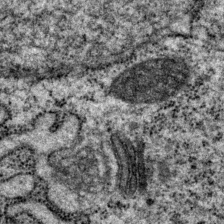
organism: P. pacificus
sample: Pharynx